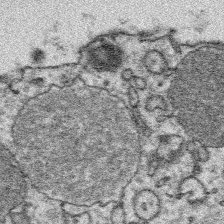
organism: Platynereis dumerilii